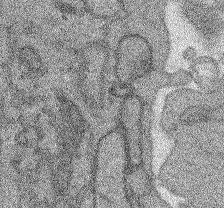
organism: Human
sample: HeLa cells